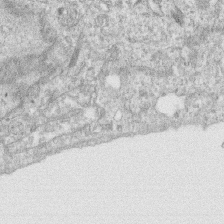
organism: Human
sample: HeLa cell HIV synapse